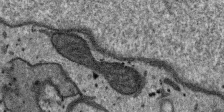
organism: Human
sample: Lung epithelial cells, uninfected (mock) control